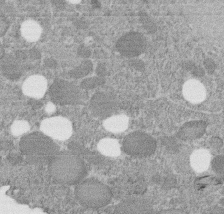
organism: C. elegans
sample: C. elegans embryo early stage